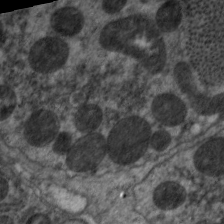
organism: C. elegans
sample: Pharynx